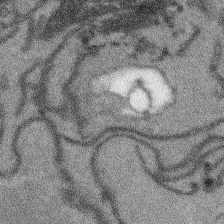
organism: Arabidopsis thaliana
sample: Root tip